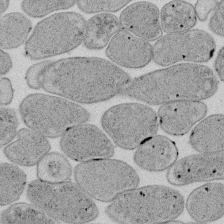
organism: E. coli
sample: Bacterial nucleoid